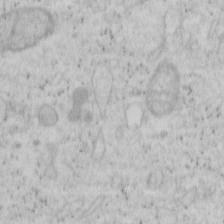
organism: Human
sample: HeLa cells